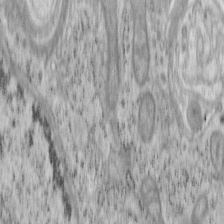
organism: Human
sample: HeLa cells